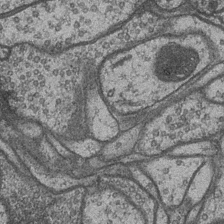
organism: Drosophila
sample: Optic medulla